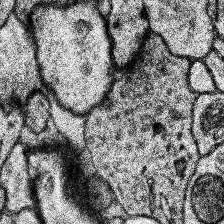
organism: Human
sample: Temporal Lobe